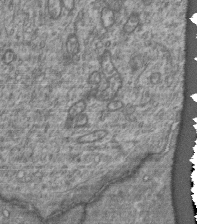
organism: Human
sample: Retinal organoid Rod and Cone cells